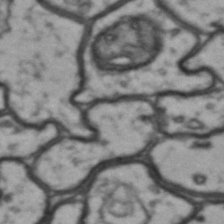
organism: Drosophila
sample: Brain